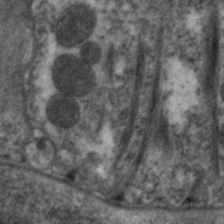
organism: C. elegans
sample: Pharynx